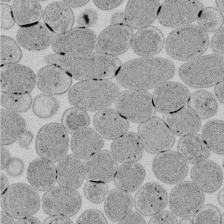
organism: E. coli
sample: Bacterial nucleoid